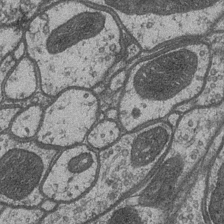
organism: Drosophila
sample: Optic medulla